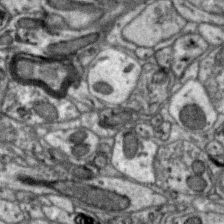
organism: Zebra finch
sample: Brain